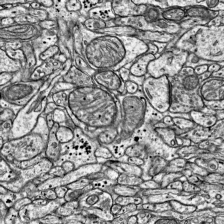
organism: Mouse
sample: Visual Cortex